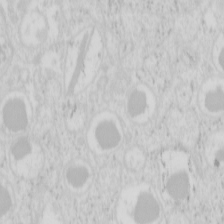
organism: Mouse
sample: Pancreas